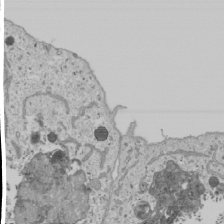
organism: Human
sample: Mitochondria in U2OS cells